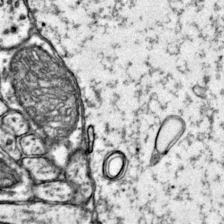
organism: Mouse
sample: Primary visual cortex